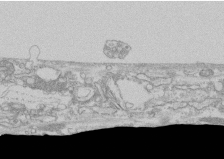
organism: Human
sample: CRL-1474